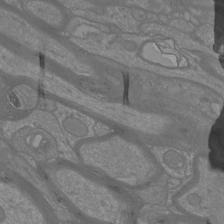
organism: Mouse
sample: Cortical neurons